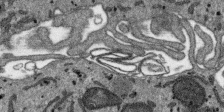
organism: Human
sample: Lung epithelial cells, uninfected (mock) control